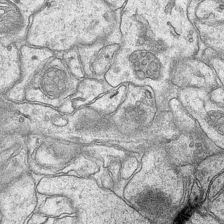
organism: Mouse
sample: CA1 Hippocampus